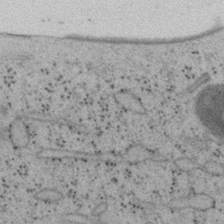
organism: Human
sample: HeLa cells